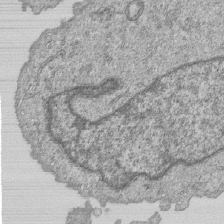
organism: Human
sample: MDA-MB-231 cells